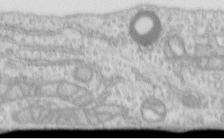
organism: Human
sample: Centriole in RPE cells